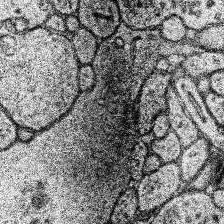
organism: Human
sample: Temporal Lobe